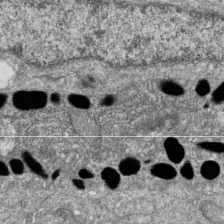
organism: Zebrafish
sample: Cilia; retinal pigment epithelium